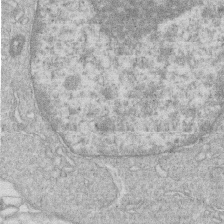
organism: Human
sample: Macrophage cells